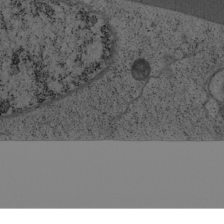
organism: African green monkey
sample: COS-7 cells